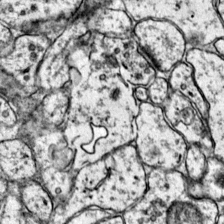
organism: Mouse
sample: Primary visual cortex